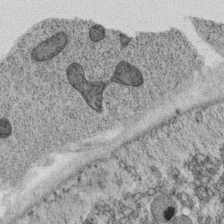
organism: C. elegans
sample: C. elegans oocyte; sperm cells